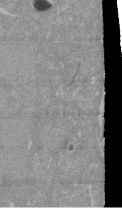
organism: Mouse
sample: ED-1 cell nuclei; centrioles